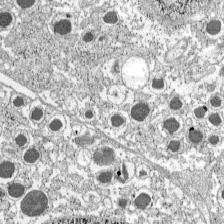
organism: C57BL Mouse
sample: Pancreatic islet